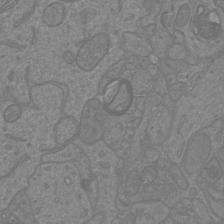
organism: Mouse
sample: Cortical neurons